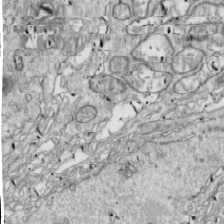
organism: Drosophila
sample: Cell division; meiosis; drosophila spermatocytes